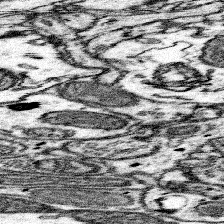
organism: Mouse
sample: Somatosensory cortex neuropil